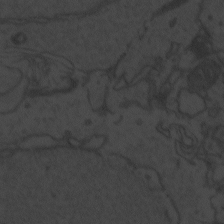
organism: Zebrafish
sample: Macrophage infected with Toxoplasma gondii